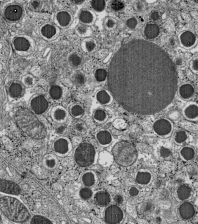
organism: C57BL Mouse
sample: Pancreatic islet